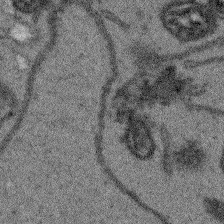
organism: Arabidopsis thaliana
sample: Root tip